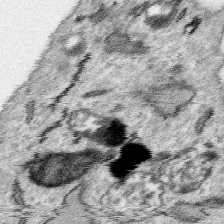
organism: Human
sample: HeLa cells